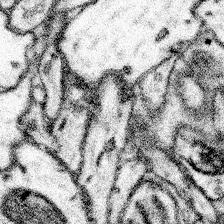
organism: Mouse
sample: Somatosensory cortex neuropil